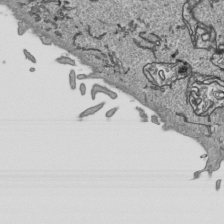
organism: Human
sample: Mitochondria in HCT116 cells